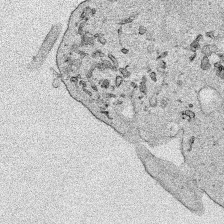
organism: Human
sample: Mitochondria in HCT116 cells